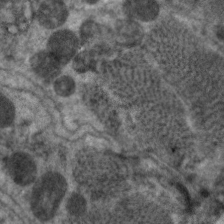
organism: C. elegans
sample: Pharynx